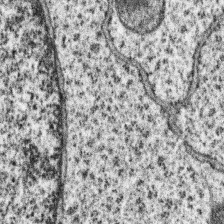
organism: Human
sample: HeLa cells